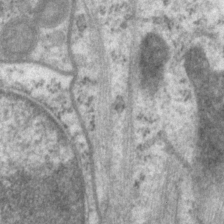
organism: P. pacificus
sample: Pharynx